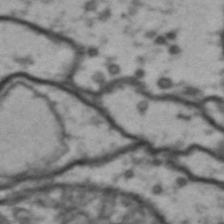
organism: Drosophila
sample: Brain